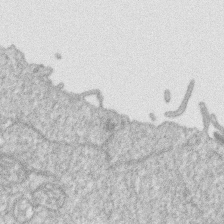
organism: Human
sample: HeLa cell HIV synapse